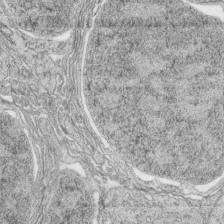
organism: Zebrafish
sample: synaptic ribbons in rod cells and cone cells